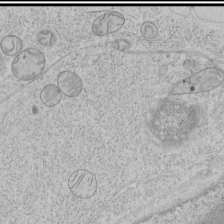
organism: Human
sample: Mitochondria in HCT116 cells